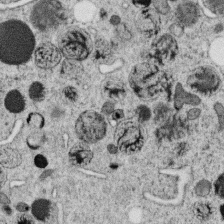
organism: C. elegans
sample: C. elegans oocyte; sperm cells